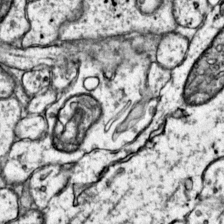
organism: Mouse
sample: Primary visual cortex